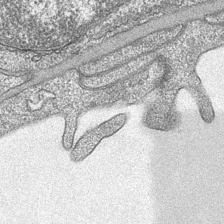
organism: Mouse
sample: CA1 Hippocampus